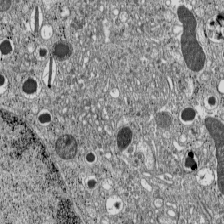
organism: C57BL Mouse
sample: Pancreatic islet